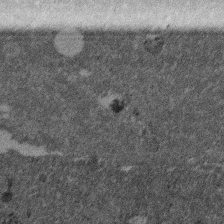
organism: Mouse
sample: Dividing mouse embryo 1 cell stage